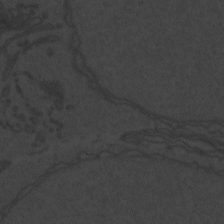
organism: Zebrafish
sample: Macrophage infected with Toxoplasma gondii